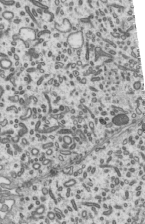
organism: Mouse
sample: Mouse epididymis efferent ductule cilia